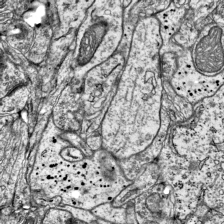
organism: Mouse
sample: Visual Cortex